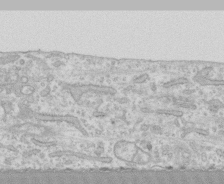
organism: Human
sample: CRL-1474